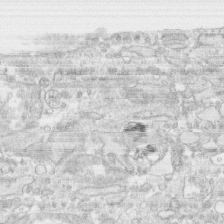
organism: Human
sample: CRL-1474